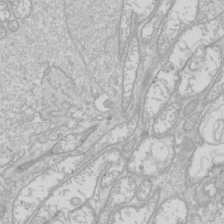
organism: Drosophila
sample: Cell division; meiosis; drosophila spermatocytes